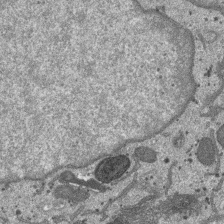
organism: Human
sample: Lung epithelial cells infected with SARS-CoV-2